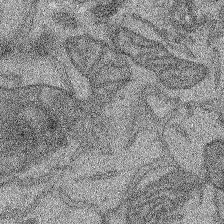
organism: Human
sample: HeLa cells